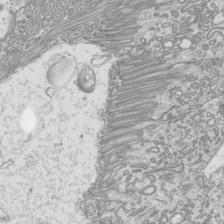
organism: Mouse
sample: Cilia; mouse epididymis